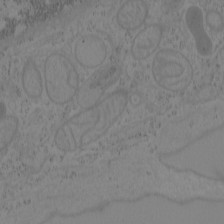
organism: Human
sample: HeLa cells